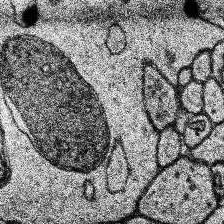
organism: Human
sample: Temporal Lobe